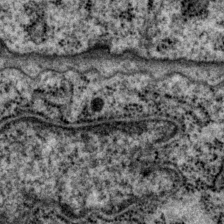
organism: P. pacificus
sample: Pharynx